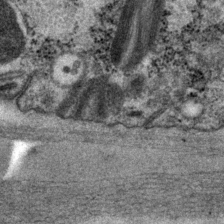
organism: P. pacificus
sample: Pharynx